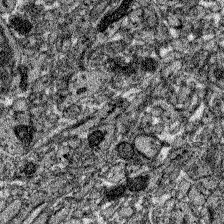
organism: Zebrafish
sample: Larval olfactory bulb